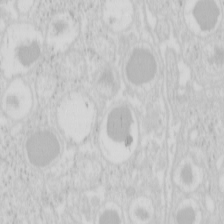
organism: Mouse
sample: Pancreas